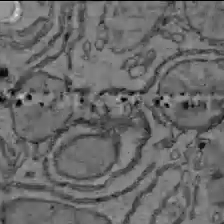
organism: C57BL Mouse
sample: Liver